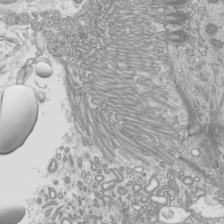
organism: Mouse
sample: Cilia; mouse epididymis